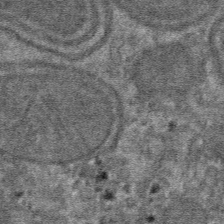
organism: Mouse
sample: Mouse hepatocytes